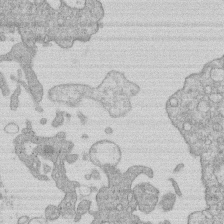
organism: Human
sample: Macrophage cells